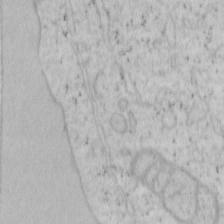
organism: Human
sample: HeLa cells